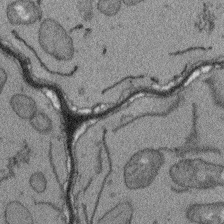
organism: Arabidopsis thaliana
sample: Root tip